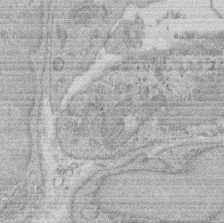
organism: Rat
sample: Salivary granule